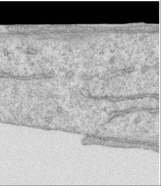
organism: Human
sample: Centriole in RPE cells